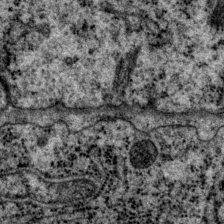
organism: P. pacificus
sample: Pharynx